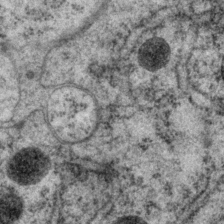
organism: P. pacificus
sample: Pharynx